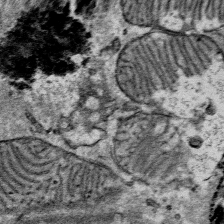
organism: Mouse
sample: Mouse Salivary gland